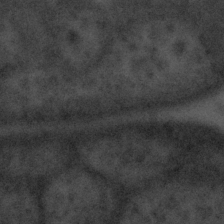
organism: Tuwongella immobilis